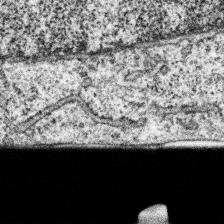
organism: Human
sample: HeLa cells